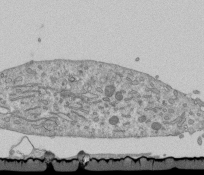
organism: Mouse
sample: ED-1 cell nuclei; centrioles